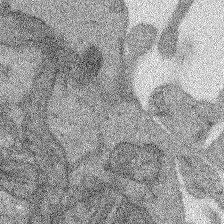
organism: Human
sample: HeLa cells